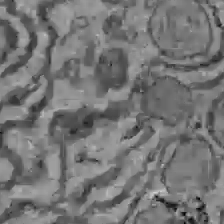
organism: C57BL Mouse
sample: Liver